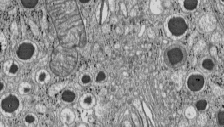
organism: C57BL Mouse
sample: Pancreatic islet